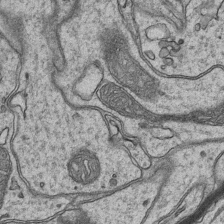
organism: Mouse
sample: CA1 Hippocampus